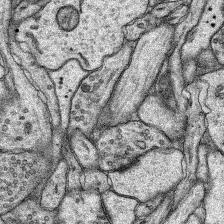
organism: Rat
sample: Hippocampus